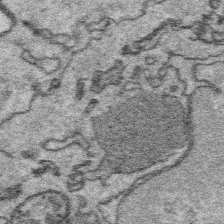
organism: Platynereis dumerilii